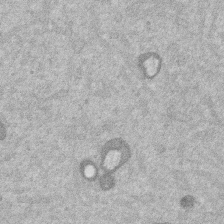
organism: Mouse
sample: Dividing mouse embryo 1 cell stage